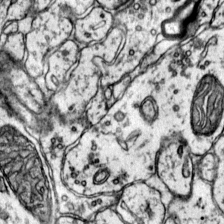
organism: Mouse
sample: Primary visual cortex